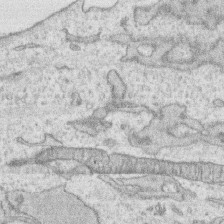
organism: Human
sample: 1205lu cells